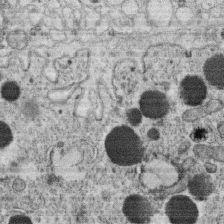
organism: C. elegans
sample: C. elegans oocyte; sperm cells